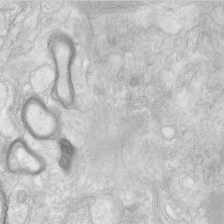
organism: Human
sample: Neocortex